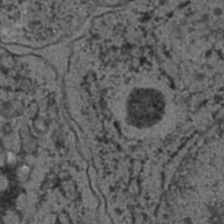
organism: C. elegans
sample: C. elegans embryo